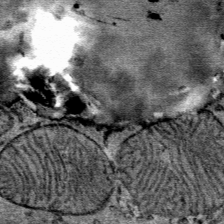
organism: Mouse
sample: Mouse Salivary gland